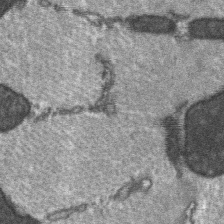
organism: C57BL Mouse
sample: Soleus